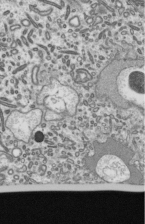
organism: Mouse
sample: Mouse epididymis efferent ductule cilia